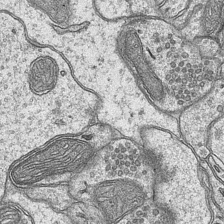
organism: Mouse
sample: CA1 Hippocampus